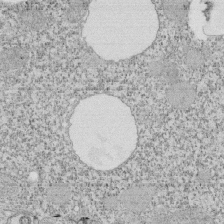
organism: Tetrahymena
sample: Cilia in tetrahymena